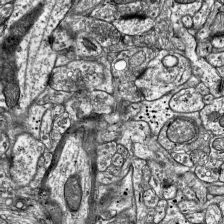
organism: Mouse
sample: Visual Cortex